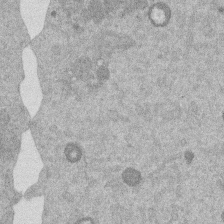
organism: Mouse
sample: Dividing mouse embryo 1 cell stage